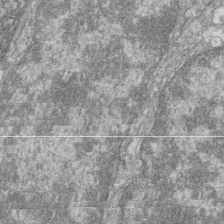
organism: Zebrafish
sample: Cilia; retinal pigment epithelium